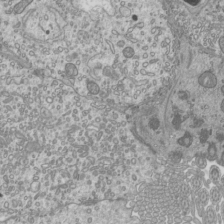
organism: Mouse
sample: Cilia; mouse epididymis